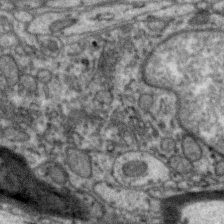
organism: Zebra finch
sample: Brain